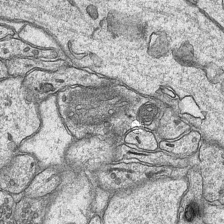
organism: Mouse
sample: CA1 Hippocampus